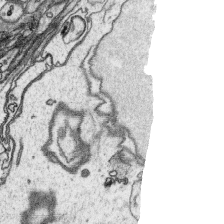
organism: Platynereis dumerilii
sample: Parapodia